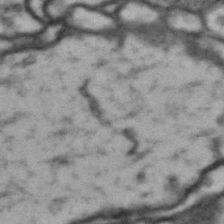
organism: Drosophila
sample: Brain